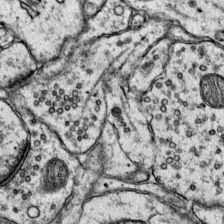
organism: Mouse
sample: Primary visual cortex